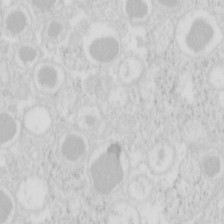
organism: Mouse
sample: Pancreas